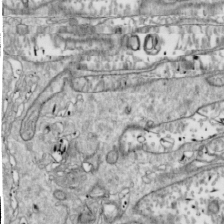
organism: Drosophila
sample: Cell division; meiosis; drosophila spermatocytes